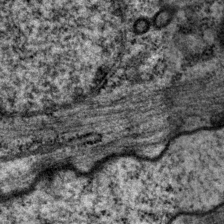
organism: P. pacificus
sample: Pharynx